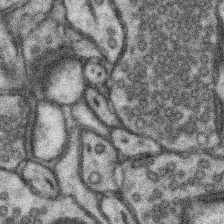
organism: Mouse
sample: Somatosensory cortex neuropil